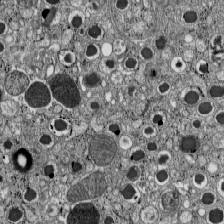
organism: C57BL Mouse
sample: Pancreatic islet